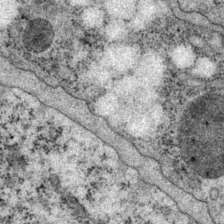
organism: P. pacificus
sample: Pharynx